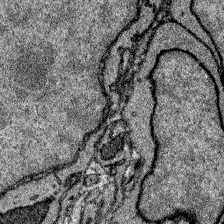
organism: Zebrafish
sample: Larval olfactory bulb